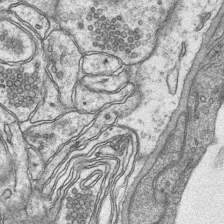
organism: Mouse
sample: CA1 Hippocampus